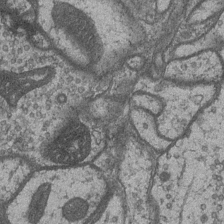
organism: Drosophila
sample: Optic medulla